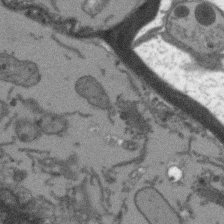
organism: Arabidopsis thaliana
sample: Root tip